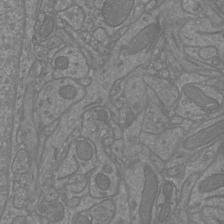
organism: Mouse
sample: Cortical neurons